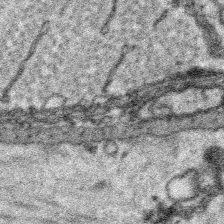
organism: Platynereis dumerilii